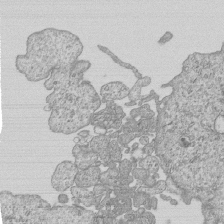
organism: Human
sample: MDA-MB-231 cells